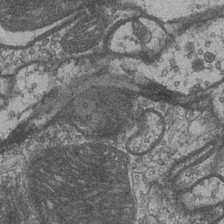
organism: Drosophila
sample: Optic medulla